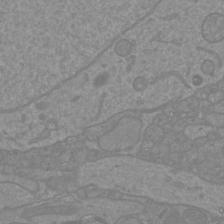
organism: Mouse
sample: Cortical neurons